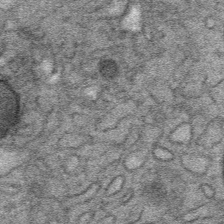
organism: Mouse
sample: Mouse Salivary gland